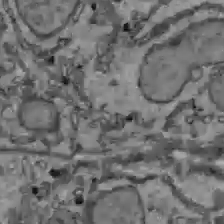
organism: C57BL Mouse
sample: Liver